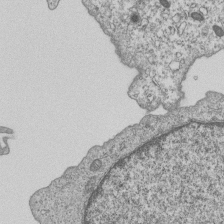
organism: Human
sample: MDA-MB-231 cells